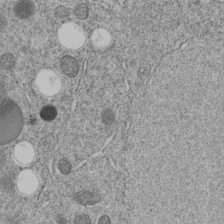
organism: C. elegans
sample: C. elegans embryo early stage